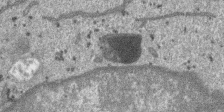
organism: Human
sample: Lung epithelial cells infected with SARS-CoV-2